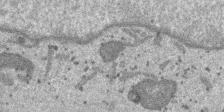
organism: Human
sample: Lung epithelial cells infected with SARS-CoV-2